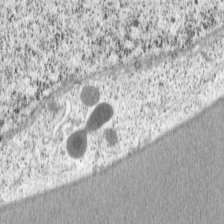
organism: African green monkey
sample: COS-7 cells